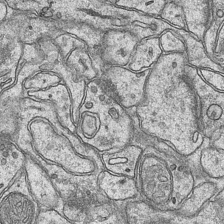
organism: Mouse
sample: CA1 Hippocampus